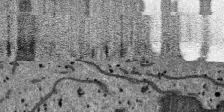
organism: Human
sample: Lung epithelial cells, uninfected (mock) control